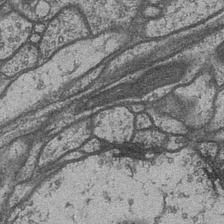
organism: Drosophila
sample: Optic medulla